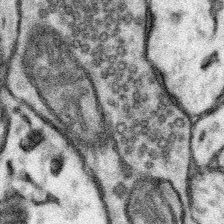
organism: Mouse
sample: Somatosensory cortex neuropil